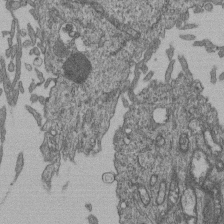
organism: Human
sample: Retinal organoid Rod and Cone cells